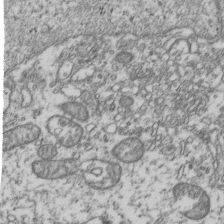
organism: Human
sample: Activated Jurkat CD4+ T cells